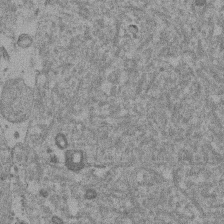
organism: Mouse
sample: Dividing mouse embryo 1 cell stage